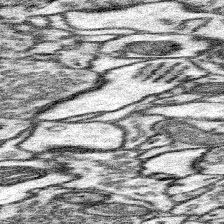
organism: Mouse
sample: Somatosensory cortex neuropil